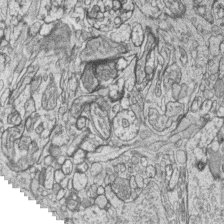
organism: Zebrafish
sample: synaptic ribbons in rod cells and cone cells